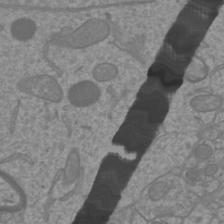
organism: Mouse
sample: Cortical neurons